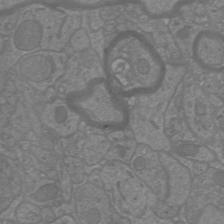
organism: Mouse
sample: Cortical neurons